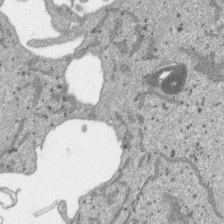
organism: Human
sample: Lung epithelial cells infected with SARS-CoV-2